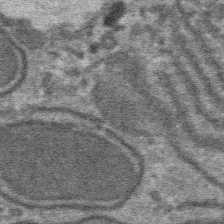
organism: Mouse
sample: Mouse hepatocytes